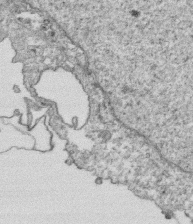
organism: Human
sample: HeLa cell HIV synapse